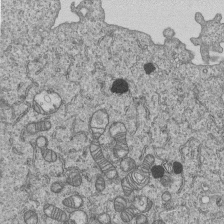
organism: Human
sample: MDA-MB-231 cells